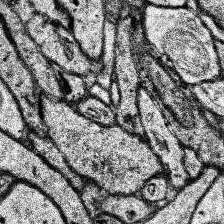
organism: Human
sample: Temporal Lobe